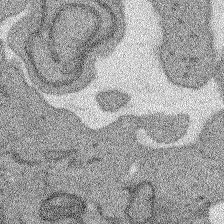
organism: Human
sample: HeLa cells